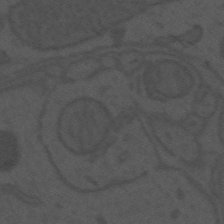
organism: Mouse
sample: Suprachiasmatic nucleus